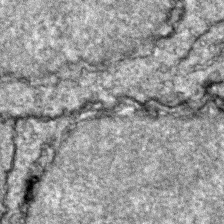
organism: Zebrafish